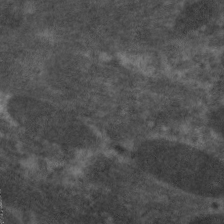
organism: C. elegans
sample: Pharynx